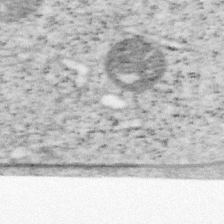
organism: Mouse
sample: OT-I killer T cells with ID8 ovarian cancer cells